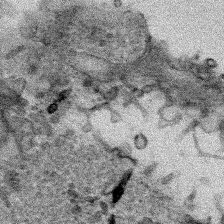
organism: Human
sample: Mitochondria in HCT116 cells